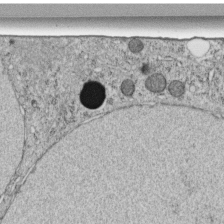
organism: C. elegans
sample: C. elegans embryo early stage